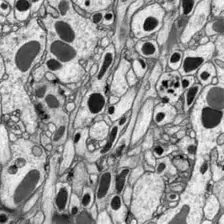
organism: Drosophila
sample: Optic lobe